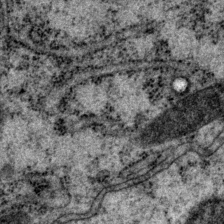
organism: P. pacificus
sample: Pharynx